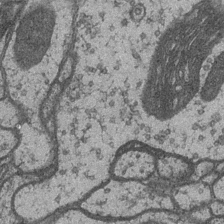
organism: Drosophila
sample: Optic medulla